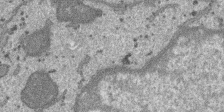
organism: Human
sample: Lung epithelial cells infected with SARS-CoV-2